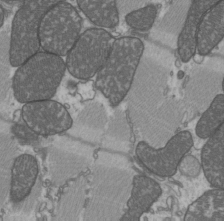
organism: C57BL Mouse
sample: Heart